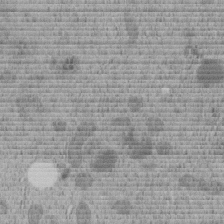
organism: C. elegans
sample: C. elegans embryo early stage